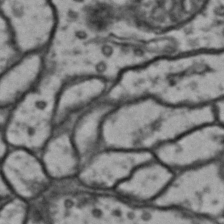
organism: Drosophila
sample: Brain